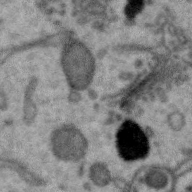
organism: Zebra finch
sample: Brain